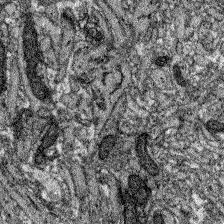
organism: Zebrafish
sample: Larval olfactory bulb